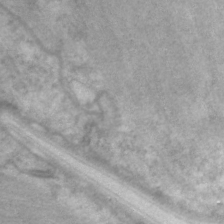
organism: C. elegans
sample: Pharynx